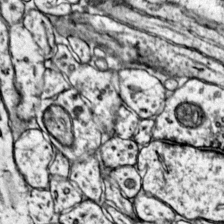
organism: Mouse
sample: Primary visual cortex